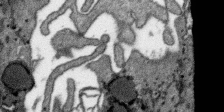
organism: Human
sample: Lung epithelial cells, uninfected (mock) control